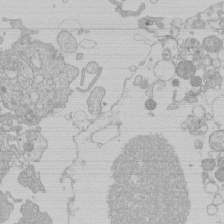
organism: Human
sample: Macrophage cells